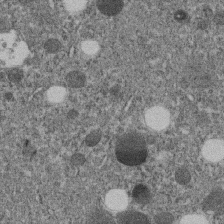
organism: C. elegans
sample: C. elegans embryo early stage